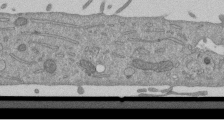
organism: Mouse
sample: ED-1 cell nuclei; centrioles